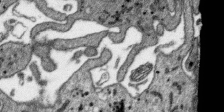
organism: Human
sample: Lung epithelial cells, uninfected (mock) control